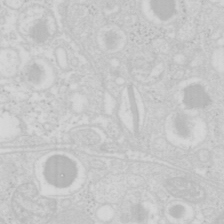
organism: Mouse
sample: Pancreas